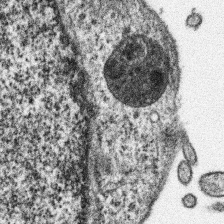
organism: Human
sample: HeLa cells